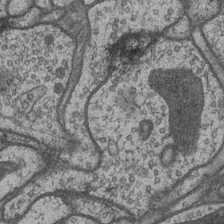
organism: Drosophila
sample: Optic medulla